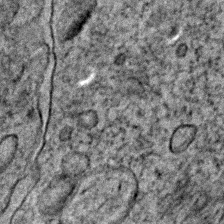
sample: Trachea